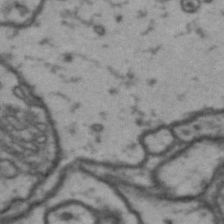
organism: Drosophila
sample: Brain